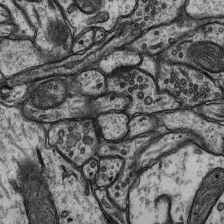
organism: Rat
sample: Hippocampus